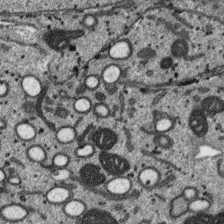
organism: Human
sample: Lung epithelial cells infected with SARS-CoV-2